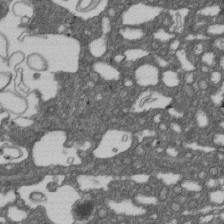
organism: Drosophila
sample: Nephrocyte